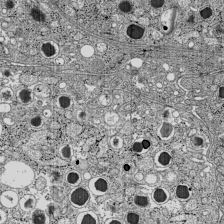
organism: C57BL Mouse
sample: Pancreatic islet